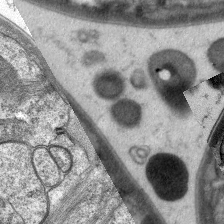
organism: C. elegans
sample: Pharynx